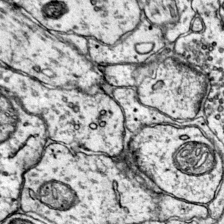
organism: Mouse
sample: Primary visual cortex